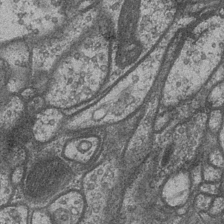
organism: Drosophila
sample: Optic medulla